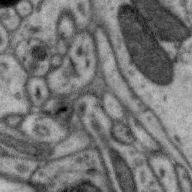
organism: Zebra finch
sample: Brain